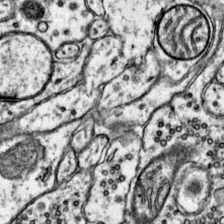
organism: Mouse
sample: Primary visual cortex